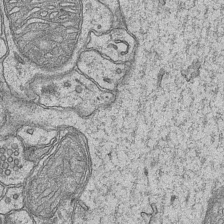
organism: Mouse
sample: CA1 Hippocampus